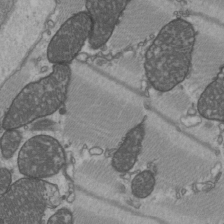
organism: C57BL Mouse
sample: Heart